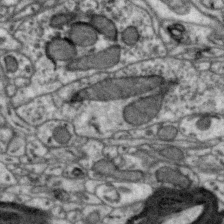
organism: Zebra finch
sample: Brain